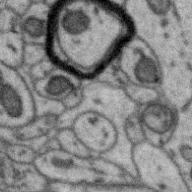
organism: Zebra finch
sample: Brain